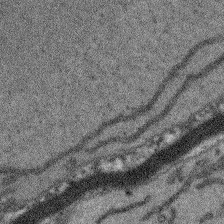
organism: Arabidopsis thaliana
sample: Root tip